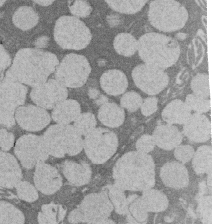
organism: Rat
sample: Salivary granule